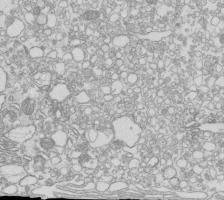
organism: Mouse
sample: Macrophages